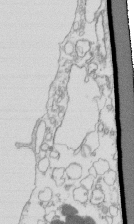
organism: Mouse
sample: Macrophages